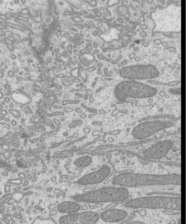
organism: Mouse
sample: Cilia; mouse epididymis